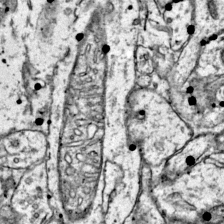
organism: Mouse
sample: Primary visual cortex